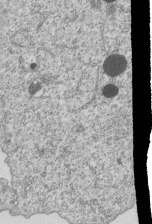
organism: Human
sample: MDA-MB-231 cells